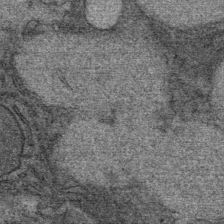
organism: Mouse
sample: Mouse Salivary gland